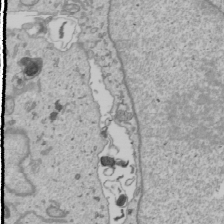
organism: Human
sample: Mitochondria in U2OS cells